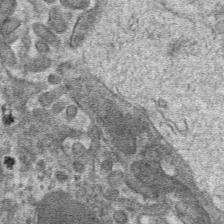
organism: Mouse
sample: Mouse hepatocytes